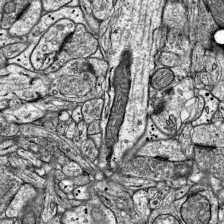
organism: Mouse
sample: Visual Cortex